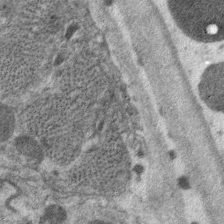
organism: C. elegans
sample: Pharynx